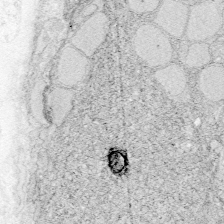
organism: Zebrafish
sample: Whole-Brain